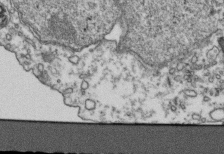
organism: Human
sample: Activated Jurkat CD4+ T cells